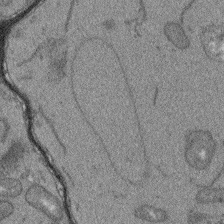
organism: Arabidopsis thaliana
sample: Root tip